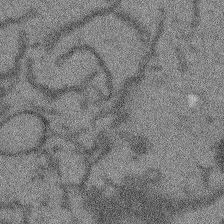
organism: Arabidopsis thaliana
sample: Root tip